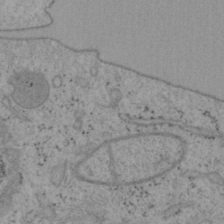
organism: Human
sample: HeLa cells